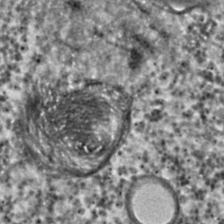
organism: C. elegans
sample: C. elegans embryo